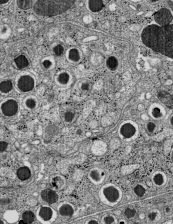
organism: C57BL Mouse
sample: Pancreatic islet